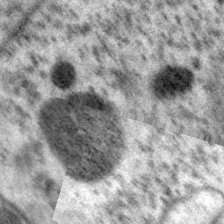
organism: P. pacificus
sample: Pharynx